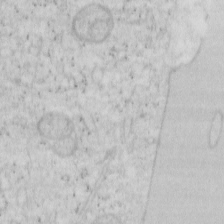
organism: Human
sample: HeLa cells